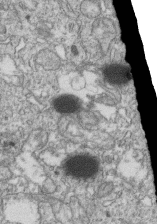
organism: Human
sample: HeLa cell HIV synapse